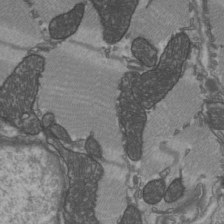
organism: C57BL Mouse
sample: Heart